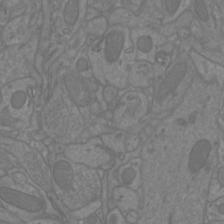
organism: Mouse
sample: Cortical neurons